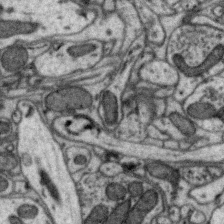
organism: Zebra finch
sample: Brain